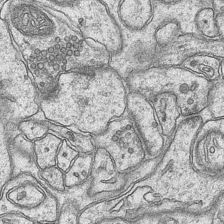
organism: Mouse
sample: CA1 Hippocampus